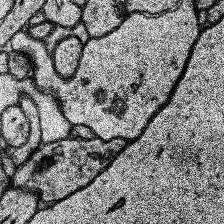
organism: Human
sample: Temporal Lobe